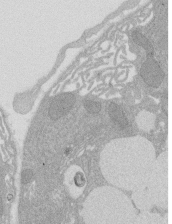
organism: Rat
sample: Salivary granule